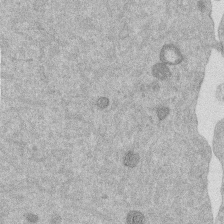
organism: Mouse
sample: Dividing mouse embryo 1 cell stage